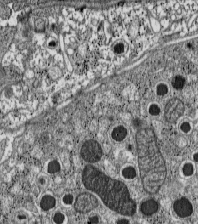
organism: C57BL Mouse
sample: Pancreatic islet